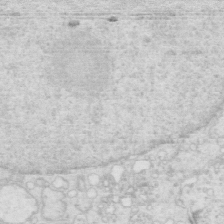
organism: Mouse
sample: Multiciliated cells